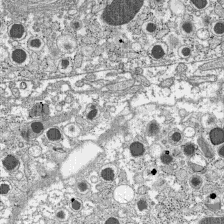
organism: C57BL Mouse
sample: Pancreatic islet